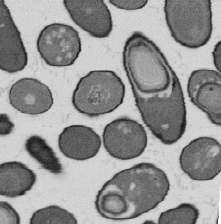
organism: B. subtilis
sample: Bacterial spore